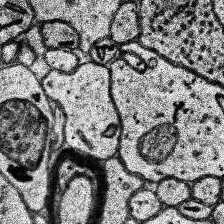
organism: Human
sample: Temporal Lobe